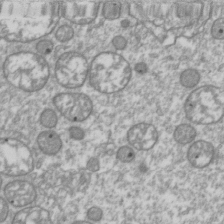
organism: Drosophila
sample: Cell division; meiosis; drosophila spermatocytes